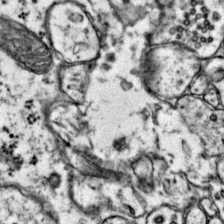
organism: Mouse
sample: Primary visual cortex